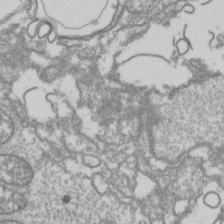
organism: Drosophila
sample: Cell division; meiosis; drosophila spermatocytes